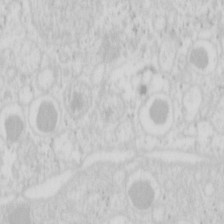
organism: Mouse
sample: Pancreas